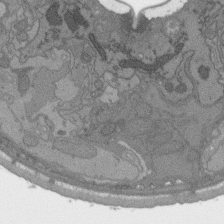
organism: C. elegans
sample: AFD neurons C. elegans